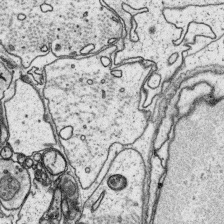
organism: Platynereis dumerilii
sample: Parapodia